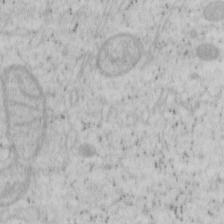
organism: Human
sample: HeLa cells